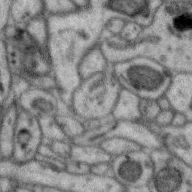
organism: Zebra finch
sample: Brain